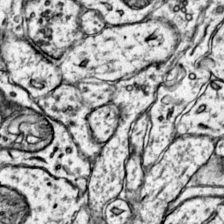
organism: Mouse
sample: Primary visual cortex